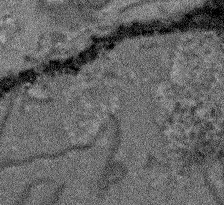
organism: Arabidopsis thaliana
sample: Root tip